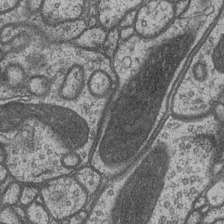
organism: Drosophila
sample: Optic medulla